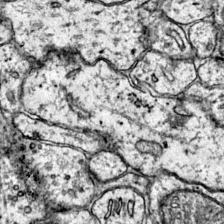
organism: Mouse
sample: Primary visual cortex